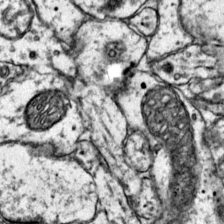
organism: Mouse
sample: Primary visual cortex